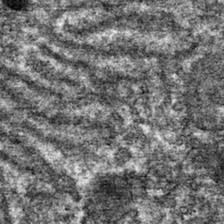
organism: Mouse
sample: Mouse hepatocytes